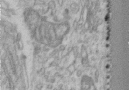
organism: Human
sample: Centriole in RPE cells